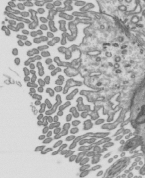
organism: Mouse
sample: Mouse epididymis efferent ductule cilia